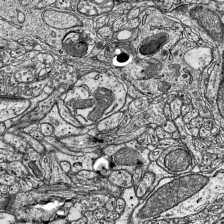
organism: Mouse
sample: Visual Cortex